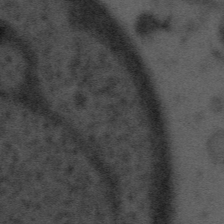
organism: Tuwongella immobilis